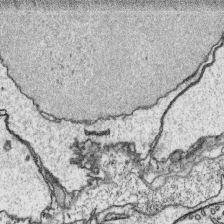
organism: Platynereis dumerilii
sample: Parapodia